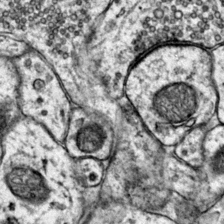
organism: Mouse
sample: Primary visual cortex